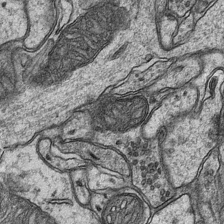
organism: Mouse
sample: CA1 Hippocampus